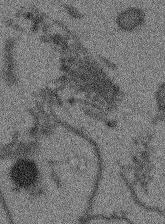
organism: Arabidopsis thaliana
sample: Root tip